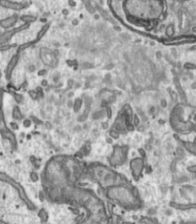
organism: Toxoplasma gondii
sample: Parasites in a vacuole inside a host cell